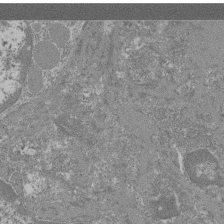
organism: Mouse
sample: Glomerulus